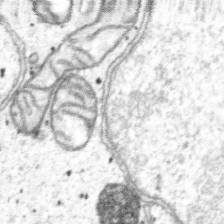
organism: Human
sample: HeLa cells